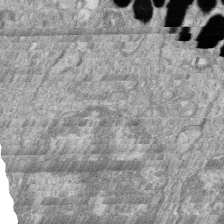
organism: Zebrafish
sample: Cilia; retinal pigment epithelium